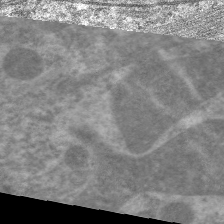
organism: C. elegans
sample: Pharynx